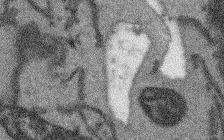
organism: Arabidopsis thaliana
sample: Root tip